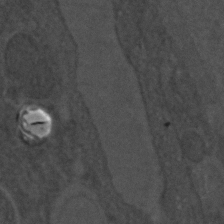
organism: C. elegans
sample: C. elegans embryo